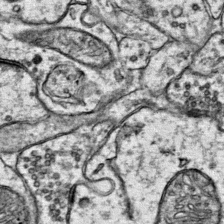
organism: Mouse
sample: Primary visual cortex